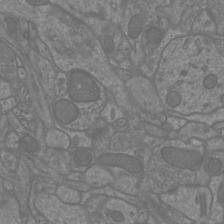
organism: Mouse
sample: Cortical neurons